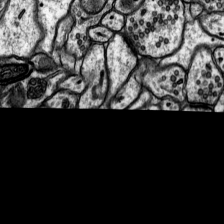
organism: Rat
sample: Hippocampus